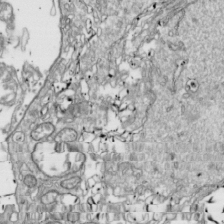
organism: Drosophila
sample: Cell division; meiosis; drosophila spermatocytes